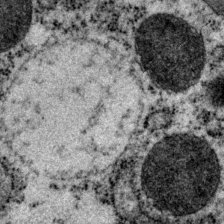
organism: P. pacificus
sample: Pharynx